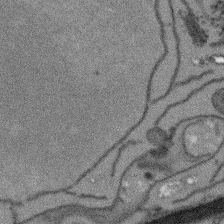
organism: Arabidopsis thaliana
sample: Root tip